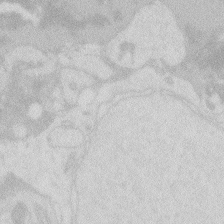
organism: Zebrafish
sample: Macrophage